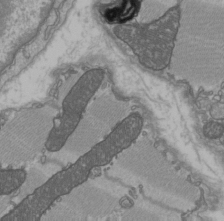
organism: C57BL Mouse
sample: Heart